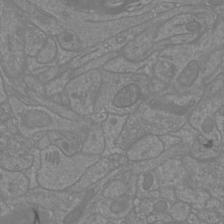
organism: Mouse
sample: Cortical neurons